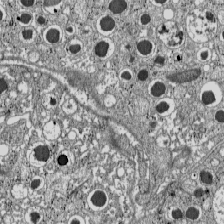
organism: C57BL Mouse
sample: Pancreatic islet